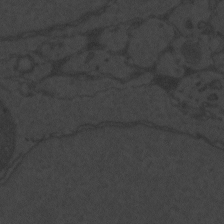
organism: Zebrafish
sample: Macrophage infected with Toxoplasma gondii